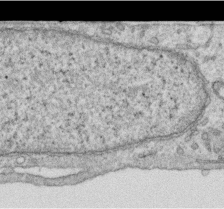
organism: Human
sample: Centriole in RPE cells